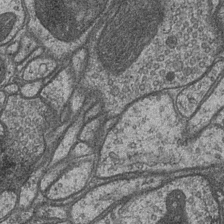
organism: Drosophila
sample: Optic medulla